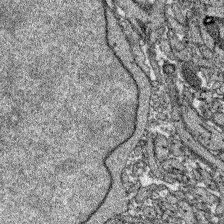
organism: Zebrafish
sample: Larval olfactory bulb